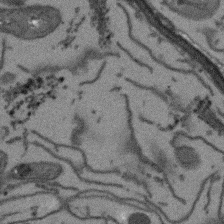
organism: Arabidopsis thaliana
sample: Root tip